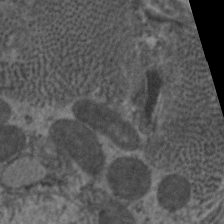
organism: C. elegans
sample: Pharynx